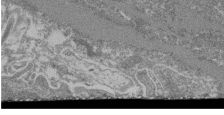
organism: Mouse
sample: Glomerulus